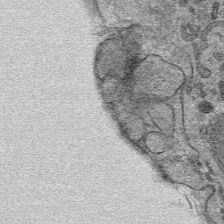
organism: Mouse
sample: Mouse hepatocytes